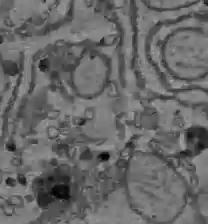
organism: C57BL Mouse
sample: Liver